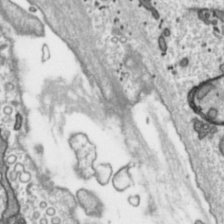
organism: Toxoplasma gondii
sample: Parasites in a vacuole inside a host cell